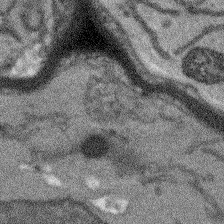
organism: Arabidopsis thaliana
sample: Root tip